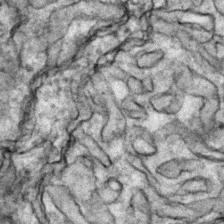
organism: Zebrafish